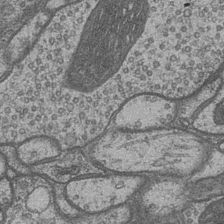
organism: Drosophila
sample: Optic medulla